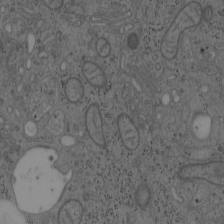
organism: Mouse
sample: OT-I killer T cells with ID8 ovarian cancer cells